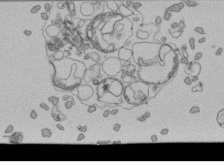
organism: Human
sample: Retinal organoid Rod and Cone cells